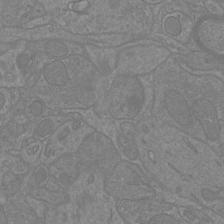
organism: Mouse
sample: Cortical neurons